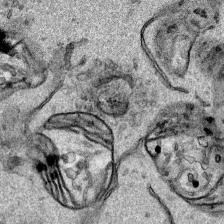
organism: Human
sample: Mitochondria in HCT116 cells